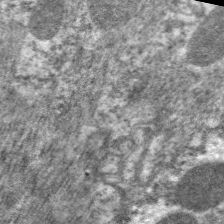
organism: C. elegans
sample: Pharynx